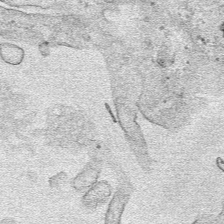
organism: Human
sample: Mitochondria in HCT116 cells